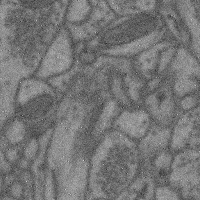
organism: Mouse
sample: Cerebral cortex